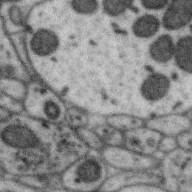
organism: Zebra finch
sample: Brain